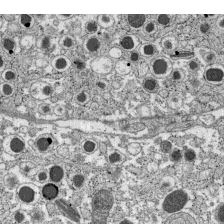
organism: C57BL Mouse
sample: Pancreatic islet